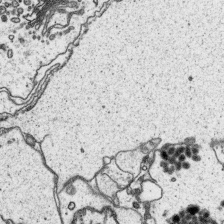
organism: Platynereis dumerilii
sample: Parapodia